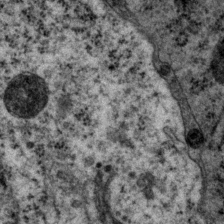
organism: P. pacificus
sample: Pharynx